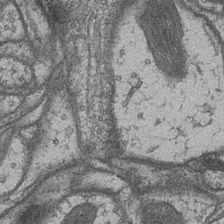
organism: Drosophila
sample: Optic medulla